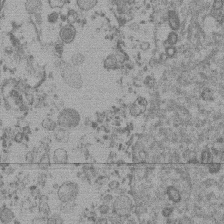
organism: Mouse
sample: Dividing mouse embryo 1 cell stage